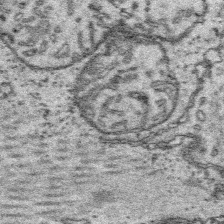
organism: Platynereis dumerilii